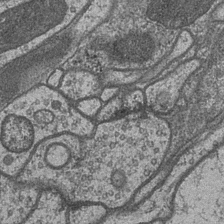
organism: Drosophila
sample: Optic medulla